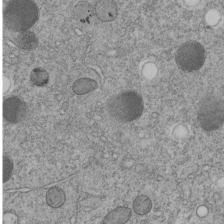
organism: C. elegans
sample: C. elegans embryo early stage